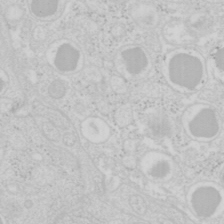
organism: Mouse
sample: Pancreas